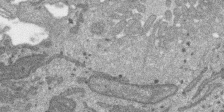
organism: Human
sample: Lung epithelial cells infected with SARS-CoV-2